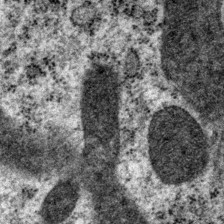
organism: P. pacificus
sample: Pharynx